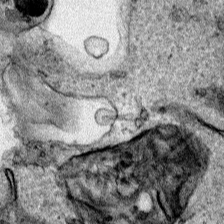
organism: Human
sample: Mitochondria in HCT116 cells